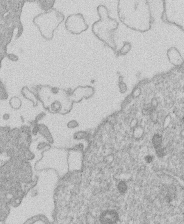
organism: Human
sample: Macrophage cells